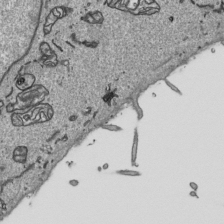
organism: Human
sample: Mitochondria in HCT116 cells